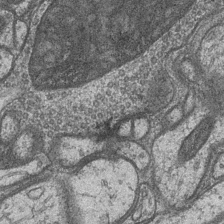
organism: Drosophila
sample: Optic medulla